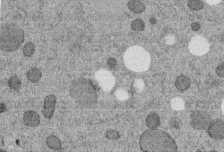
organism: C. elegans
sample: C. elegans embryo early stage